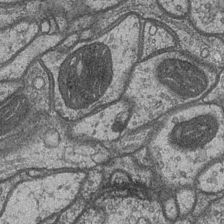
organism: Drosophila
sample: Optic medulla